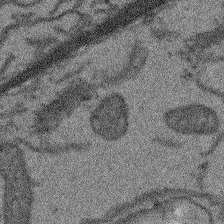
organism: Arabidopsis thaliana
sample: Root tip